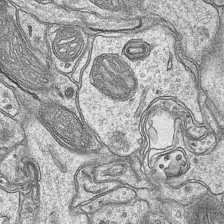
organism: Mouse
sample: CA1 Hippocampus